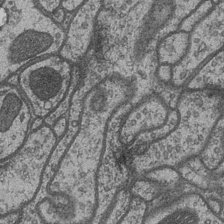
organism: Drosophila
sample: Optic medulla